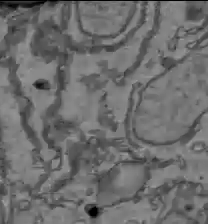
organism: C57BL Mouse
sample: Liver